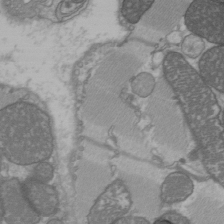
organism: C57BL Mouse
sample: Heart